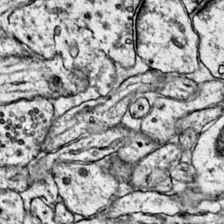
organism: Mouse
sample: Primary visual cortex